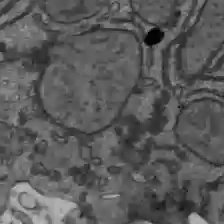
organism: C57BL Mouse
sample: Liver